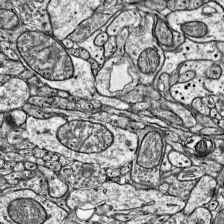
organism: Mouse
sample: Visual Cortex